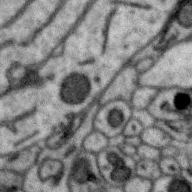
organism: Zebra finch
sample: Brain